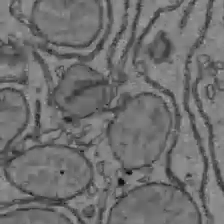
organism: C57BL Mouse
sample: Liver